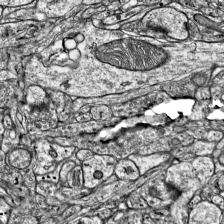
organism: Mouse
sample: Visual Cortex